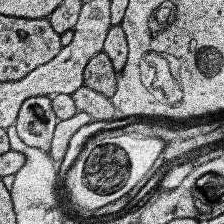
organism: Human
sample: Temporal Lobe